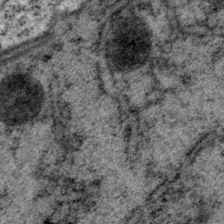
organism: P. pacificus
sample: Pharynx